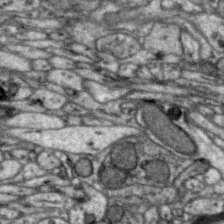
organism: Zebra finch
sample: Brain